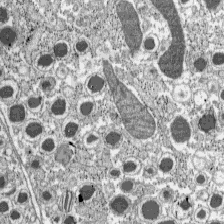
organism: C57BL Mouse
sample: Pancreatic islet